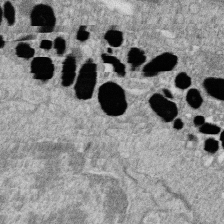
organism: Zebrafish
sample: Cilia; retinal pigment epithelium